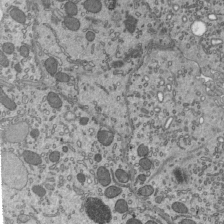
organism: Mouse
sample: Mouse epididymis efferent ductule cilia